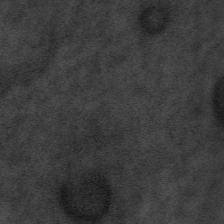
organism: Tuwongella immobilis